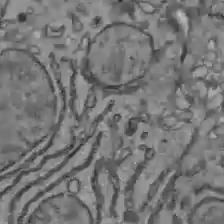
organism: C57BL Mouse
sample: Liver